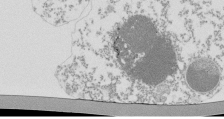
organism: Mouse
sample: Activated Pmel transgenic CD8+ T Cells